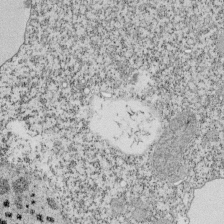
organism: Tetrahymena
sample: Cilia in tetrahymena